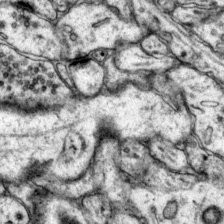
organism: Mouse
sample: Primary visual cortex